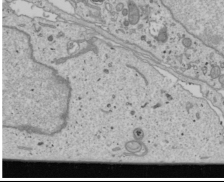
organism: Human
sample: Mitochondria in U2OS cells